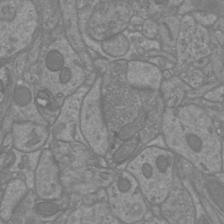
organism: Mouse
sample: Cortical neurons